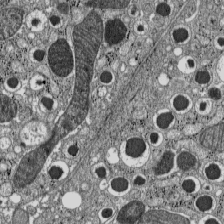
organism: C57BL Mouse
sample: Pancreatic islet